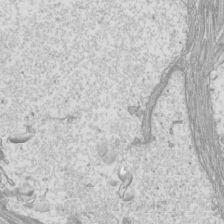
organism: Mouse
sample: Cilia; mouse epididymis